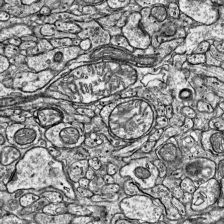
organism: Mouse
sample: Visual Cortex